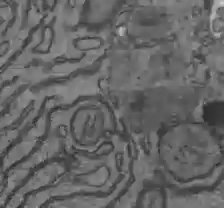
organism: C57BL Mouse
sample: Liver